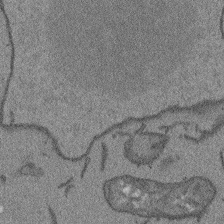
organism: Arabidopsis thaliana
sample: Root tip